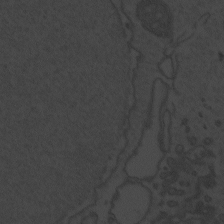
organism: Zebrafish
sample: Macrophage infected with Toxoplasma gondii